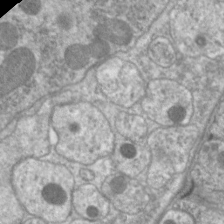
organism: C. elegans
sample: Pharynx